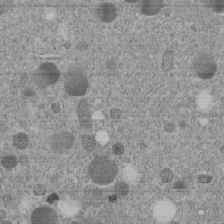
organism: C. elegans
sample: C. elegans embryo early stage